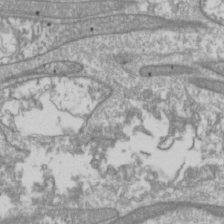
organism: Drosophila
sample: Cell division; meiosis; drosophila spermatocytes